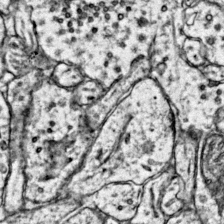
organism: Mouse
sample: Primary visual cortex